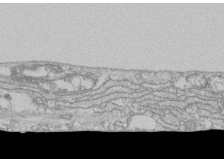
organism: Human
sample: CRL-1474